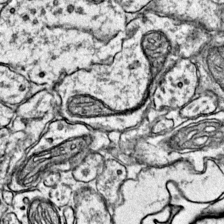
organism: Mouse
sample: Primary visual cortex